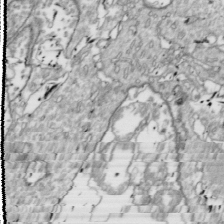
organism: Drosophila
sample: Cell division; meiosis; drosophila spermatocytes